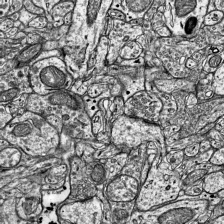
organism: Mouse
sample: Visual Cortex